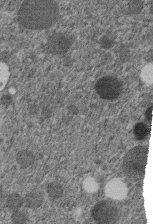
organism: C. elegans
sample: C. elegans embryo early stage